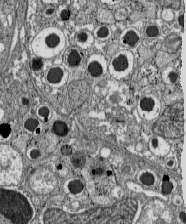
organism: C57BL Mouse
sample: Pancreatic islet